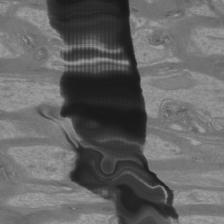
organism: Mouse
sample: Cortical neurons